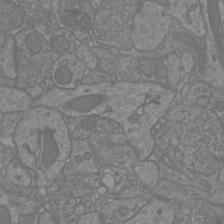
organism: Mouse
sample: Cortical neurons